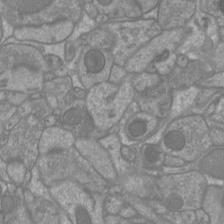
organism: Mouse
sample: Cortical neurons